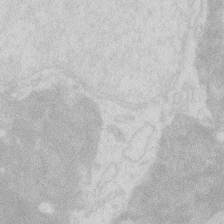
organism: Zebrafish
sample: Macrophage